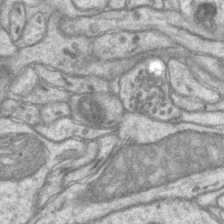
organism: Mouse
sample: CA1 Hippocampus